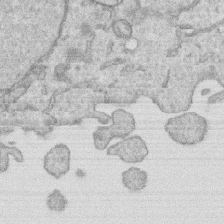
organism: Human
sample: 1205lu cells